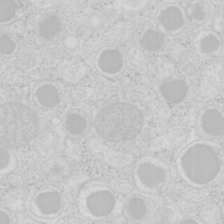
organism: Mouse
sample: Pancreas